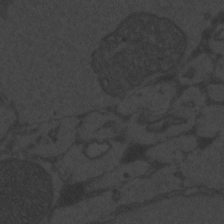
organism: Zebrafish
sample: Macrophage infected with Toxoplasma gondii